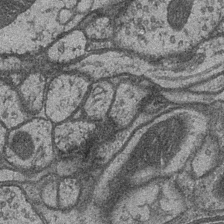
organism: Drosophila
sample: Optic medulla